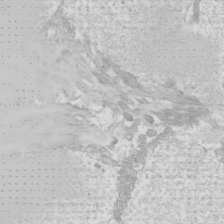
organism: Mouse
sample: Cilia; mouse epididymis